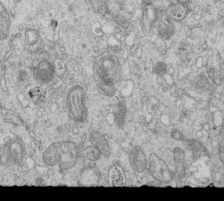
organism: Mouse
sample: Multiciliated cells